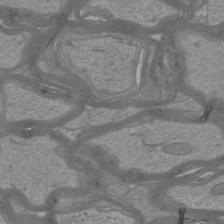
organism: Mouse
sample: Cortical neurons